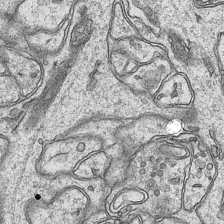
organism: Mouse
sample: CA1 Hippocampus